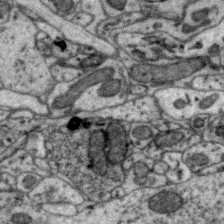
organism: Zebra finch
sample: Brain